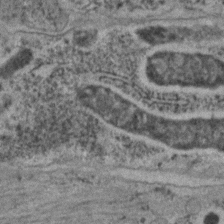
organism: C. elegans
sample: C. elegans embryo